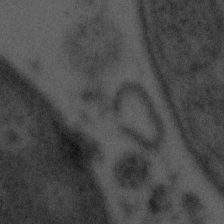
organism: Tuwongella immobilis